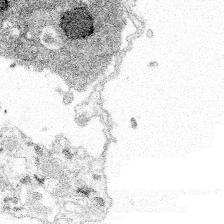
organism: Spongilla lacustris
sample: Multiple